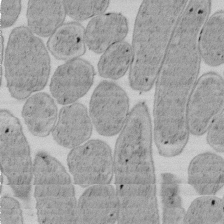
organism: E. coli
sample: Bacterial nucleoid